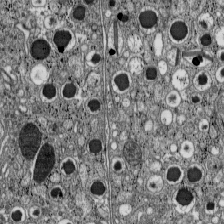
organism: C57BL Mouse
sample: Pancreatic islet